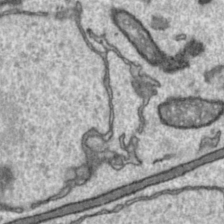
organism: Toxoplasma gondii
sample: Parasites in a vacuole inside a host cell